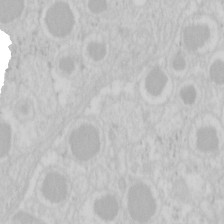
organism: Mouse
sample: Pancreas